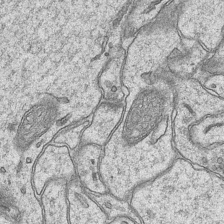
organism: Mouse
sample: CA1 Hippocampus